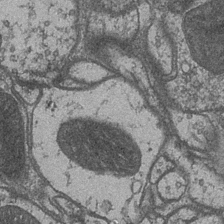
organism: Drosophila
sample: Optic medulla